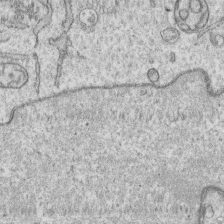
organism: Human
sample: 1205lu cells